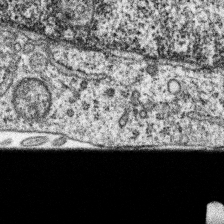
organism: Human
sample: HeLa cells